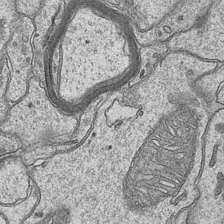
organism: Mouse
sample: CA1 Hippocampus